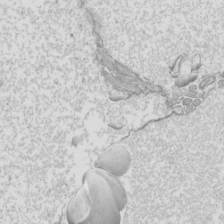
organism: Mouse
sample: Cilia; mouse epididymis